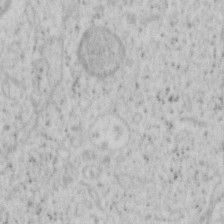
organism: Human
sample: HeLa cells